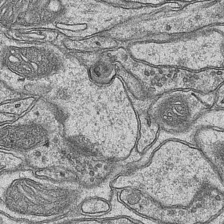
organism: Mouse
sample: CA1 Hippocampus